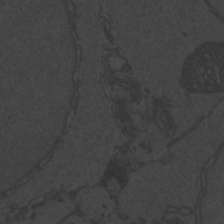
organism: Zebrafish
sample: Macrophage infected with Toxoplasma gondii